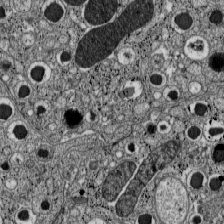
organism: C57BL Mouse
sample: Pancreatic islet